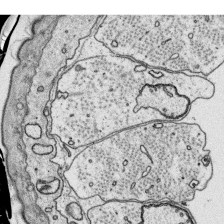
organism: Platynereis dumerilii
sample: Parapodia